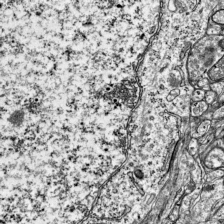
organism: Mouse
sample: Visual Cortex